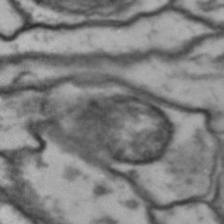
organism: Drosophila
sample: Brain